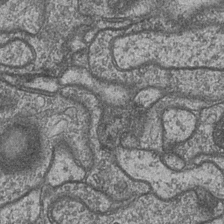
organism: Drosophila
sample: Optic medulla